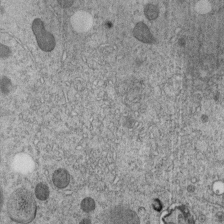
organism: C. elegans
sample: C. elegans embryo early stage